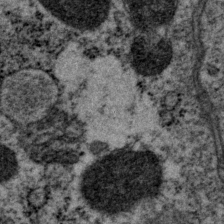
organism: P. pacificus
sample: Pharynx